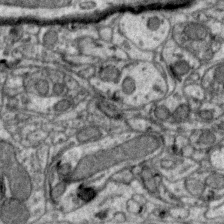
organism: Zebra finch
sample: Brain